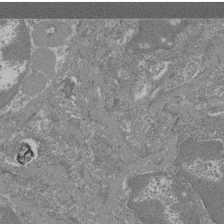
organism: Mouse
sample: Glomerulus